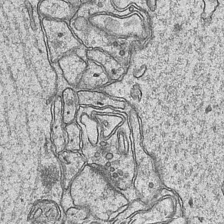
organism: Mouse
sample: CA1 Hippocampus